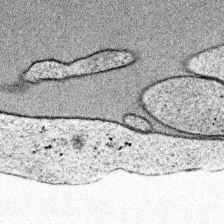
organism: Human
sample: HeLa cells